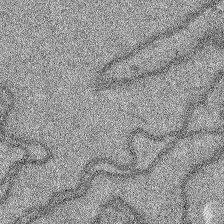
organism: Human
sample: HeLa cells